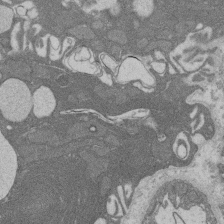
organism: Rat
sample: Salivary granule